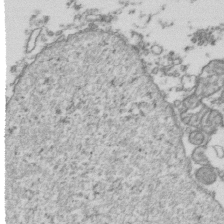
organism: Human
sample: Activated Jurkat CD4+ T cells